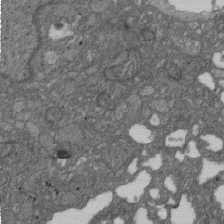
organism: Drosophila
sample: Nephrocyte